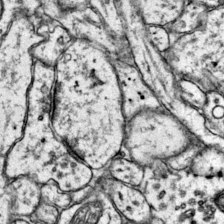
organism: Mouse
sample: Primary visual cortex